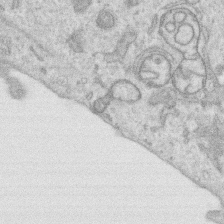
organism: Human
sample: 1205lu cells